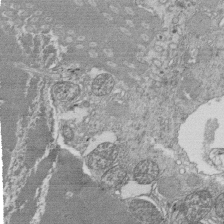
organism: Tetrahymena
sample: Cilia in tetrahymena